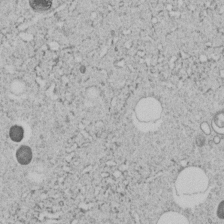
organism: C. elegans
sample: C. elegans embryo early stage